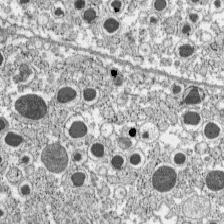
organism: C57BL Mouse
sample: Pancreatic islet